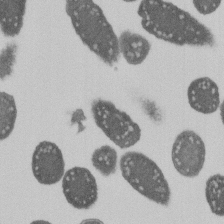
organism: E. coli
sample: Bacterial nucleoid